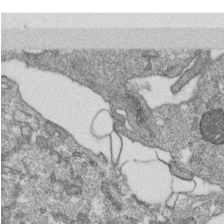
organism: African green monkey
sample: Vero E6 cells infected with SARS-CoV-2